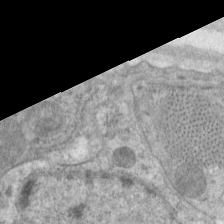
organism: C. elegans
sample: Pharynx